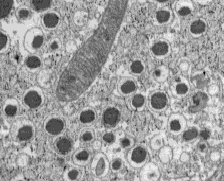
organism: C57BL Mouse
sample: Pancreatic islet